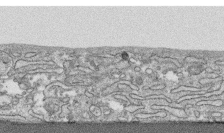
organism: Human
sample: CRL-1474